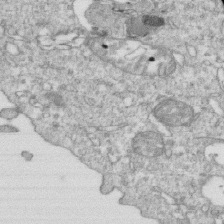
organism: Mouse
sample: Activated OT-1 CD8+ T cells